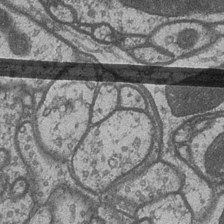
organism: Drosophila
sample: Optic medulla